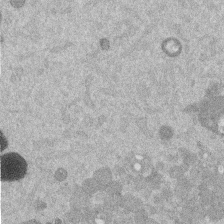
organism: Mouse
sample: Dividing mouse embryo 1 cell stage